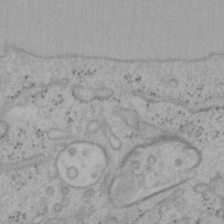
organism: Human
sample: HeLa cells